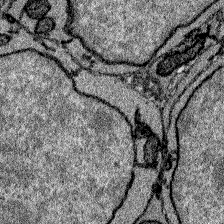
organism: Zebrafish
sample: Larval olfactory bulb